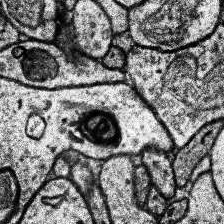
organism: Human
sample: Temporal Lobe